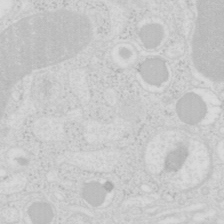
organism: Mouse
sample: Pancreas